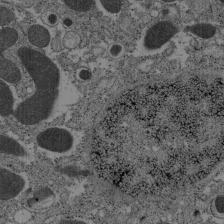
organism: C57BL Mouse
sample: Pancreatic islet